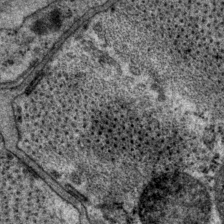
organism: P. pacificus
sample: Pharynx